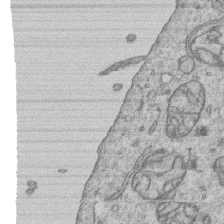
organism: Human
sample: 1205lu cells